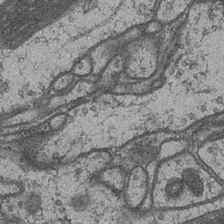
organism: Drosophila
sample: Optic medulla